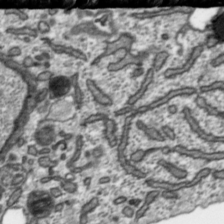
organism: Toxoplasma gondii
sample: Parasites in a vacuole inside a host cell